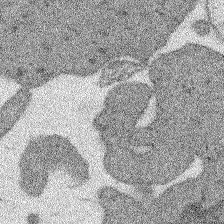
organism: Human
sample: HeLa cells